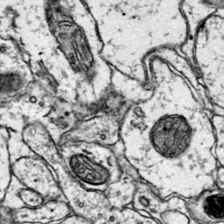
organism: Mouse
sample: Primary visual cortex